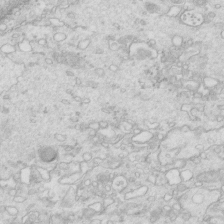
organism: Mouse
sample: Multiciliated cells